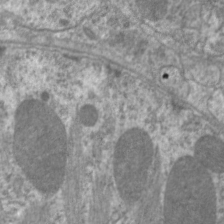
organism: C. elegans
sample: Pharynx